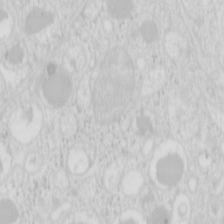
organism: Mouse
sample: Pancreas